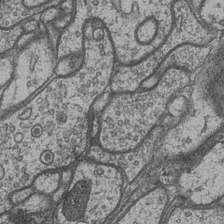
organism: Drosophila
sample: Optic medulla